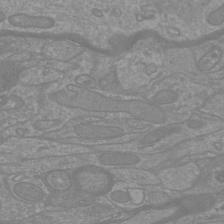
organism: Mouse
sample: Cortical neurons